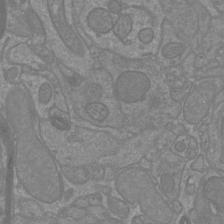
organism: Mouse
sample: Cortical neurons